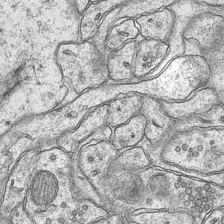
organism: Mouse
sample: CA1 Hippocampus